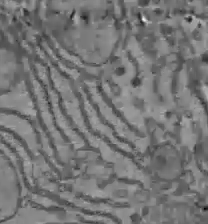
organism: C57BL Mouse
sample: Liver